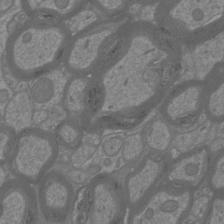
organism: Mouse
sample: Cortical neurons